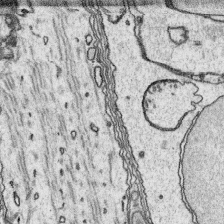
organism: Platynereis dumerilii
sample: Parapodia